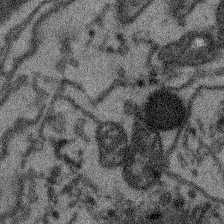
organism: Arabidopsis thaliana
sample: Root tip